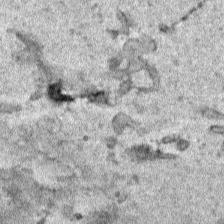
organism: Human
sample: Mitochondria in HCT116 cells